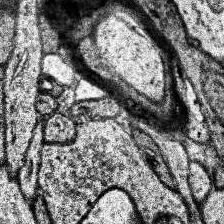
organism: Human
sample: Temporal Lobe